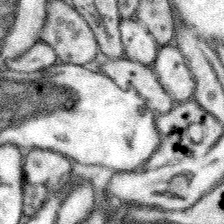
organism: Mouse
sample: Somatosensory cortex neuropil